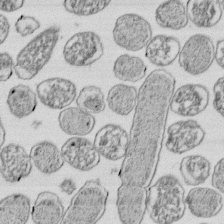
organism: E. coli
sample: Bacterial nucleoid